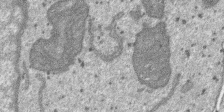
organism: Human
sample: Lung epithelial cells infected with SARS-CoV-2